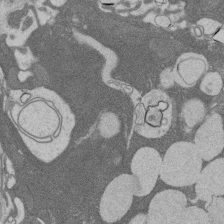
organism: Rat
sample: Salivary granule